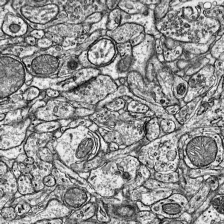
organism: Mouse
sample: Visual Cortex